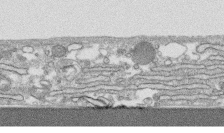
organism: Human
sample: CRL-1474